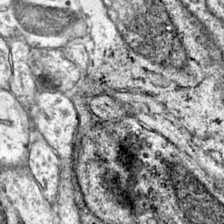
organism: Mouse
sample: Primary visual cortex